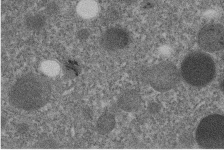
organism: C. elegans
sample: C. elegans embryo early stage